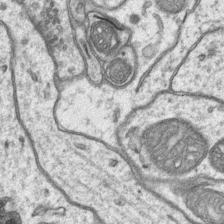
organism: Mouse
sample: CA1 Hippocampus